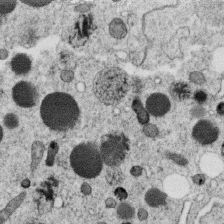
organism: C. elegans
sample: C. elegans oocyte; sperm cells